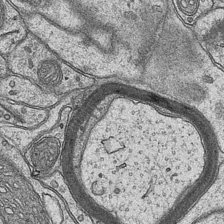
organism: Mouse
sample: CA1 Hippocampus